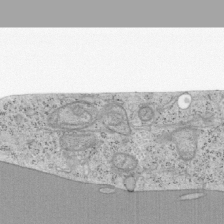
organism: Human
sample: HeLa cells